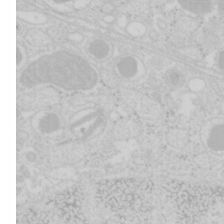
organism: Mouse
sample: Pancreas